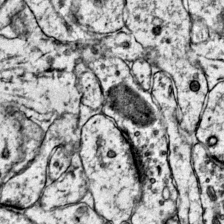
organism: Mouse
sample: Primary visual cortex